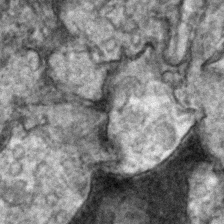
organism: Zebrafish